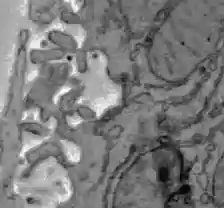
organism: C57BL Mouse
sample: Liver